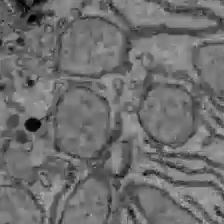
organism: C57BL Mouse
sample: Liver